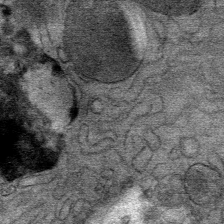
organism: Mouse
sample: Mouse Salivary gland